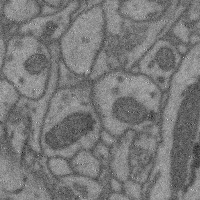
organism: Mouse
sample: Cerebral cortex